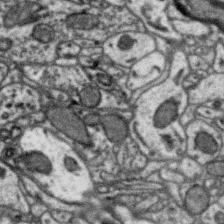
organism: Zebra finch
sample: Brain